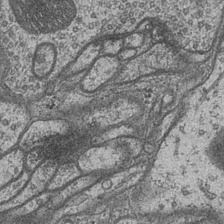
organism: Drosophila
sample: Optic medulla